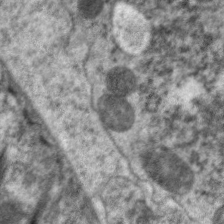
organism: C. elegans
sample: Pharynx